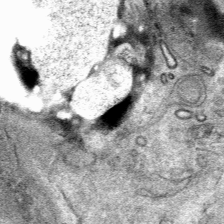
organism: Mouse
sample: Mouse Salivary gland